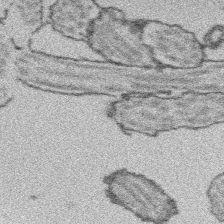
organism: Platynereis dumerilii